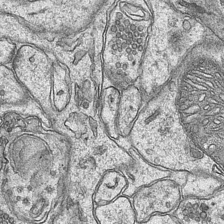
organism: Mouse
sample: CA1 Hippocampus